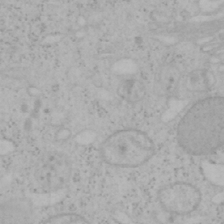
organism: Mouse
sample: OT-I killer T cells with ID8 ovarian cancer cells